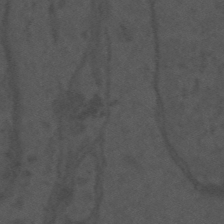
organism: Mouse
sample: Suprachiasmatic nucleus